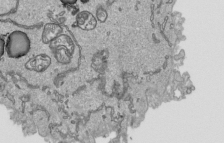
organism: Human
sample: Mitochondria in HCT116 cells